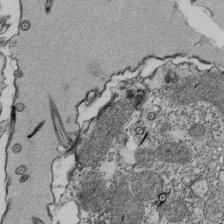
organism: Tetrahymena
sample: Cilia in tetrahymena